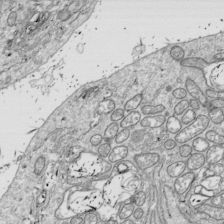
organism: Drosophila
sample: Cell division; meiosis; drosophila spermatocytes